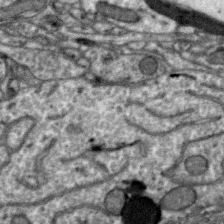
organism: Zebra finch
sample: Brain